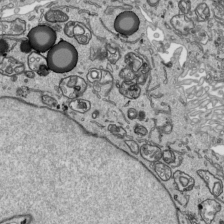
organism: Human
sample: Mitochondria in HCT116 cells